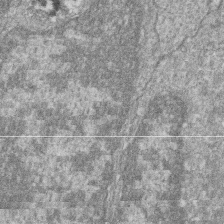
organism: Zebrafish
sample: Cilia; retinal pigment epithelium